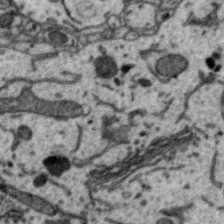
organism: Zebra finch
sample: Brain